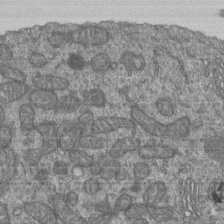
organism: Human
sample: Retinal organoid Rod and Cone cells